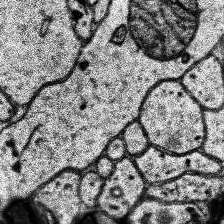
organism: Human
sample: Temporal Lobe